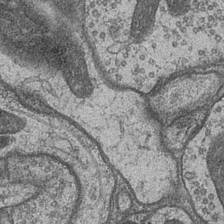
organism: Drosophila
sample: Optic medulla